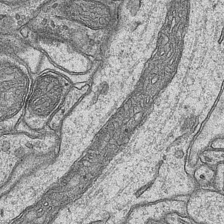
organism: Mouse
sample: CA1 Hippocampus